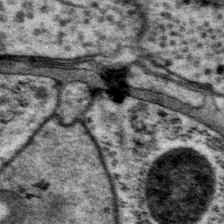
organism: P. pacificus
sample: Pharynx